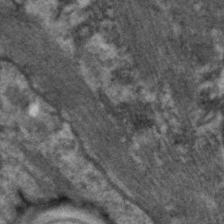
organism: C. elegans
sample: Pharynx